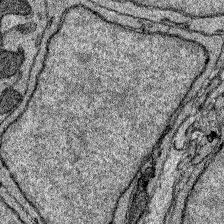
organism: Zebrafish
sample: Larval olfactory bulb